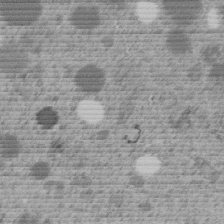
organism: C. elegans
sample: C. elegans embryo early stage